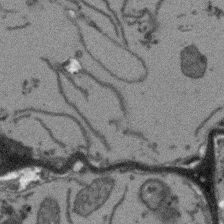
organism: Arabidopsis thaliana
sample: Root tip